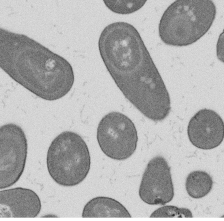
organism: B. subtilis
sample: Bacterial spore